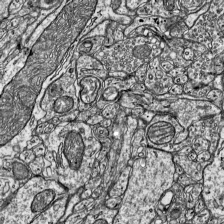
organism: Mouse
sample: Visual Cortex